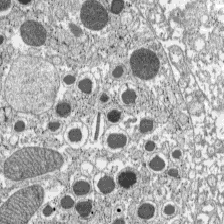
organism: C57BL Mouse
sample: Pancreatic islet